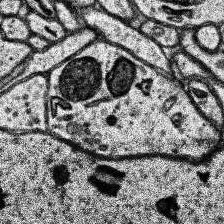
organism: Human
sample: Temporal Lobe